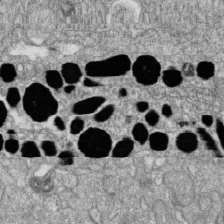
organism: Zebrafish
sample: Cilia; retinal pigment epithelium